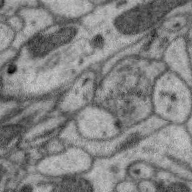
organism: Zebra finch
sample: Brain